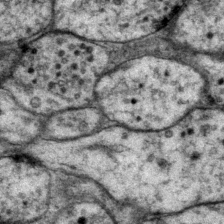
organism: P. pacificus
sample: Pharynx